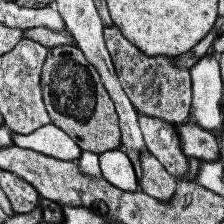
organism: Human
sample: Temporal Lobe